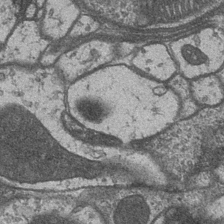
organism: Drosophila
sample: Optic medulla